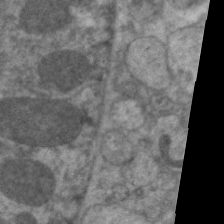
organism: C. elegans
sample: Pharynx